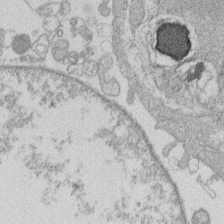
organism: Human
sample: Macrophage cells